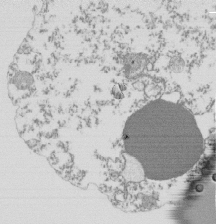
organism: Mouse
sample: Activated Pmel transgenic CD8+ T Cells